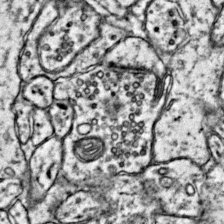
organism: Mouse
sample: Primary visual cortex